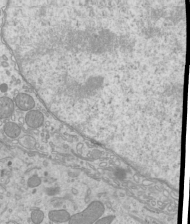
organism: Mouse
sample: Cilia; mouse epididymis